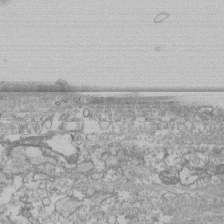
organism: Human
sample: CRL-1474